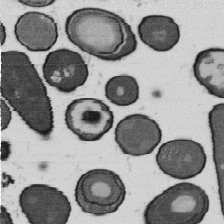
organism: B. subtilis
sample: Bacterial spore